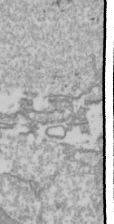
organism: Drosophila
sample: Cell division; meiosis; drosophila spermatocytes